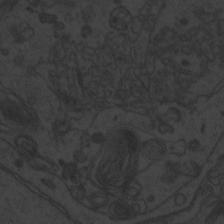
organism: Zebrafish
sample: Macrophage infected with Toxoplasma gondii